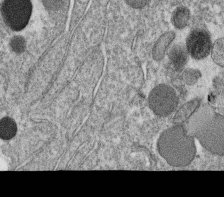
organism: C. elegans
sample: C. elegans oocyte; sperm cells